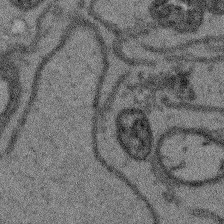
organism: Arabidopsis thaliana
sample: Root tip